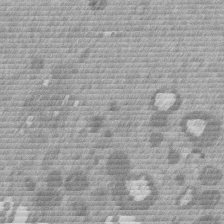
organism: Mouse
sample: Dividing mouse embryo 1 cell stage